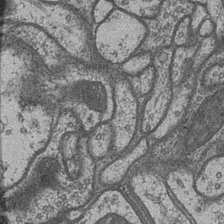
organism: Drosophila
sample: Optic medulla